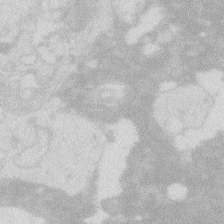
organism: Zebrafish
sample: Macrophage